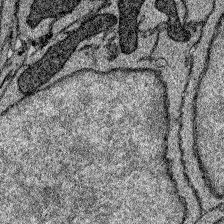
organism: Zebrafish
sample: Larval olfactory bulb